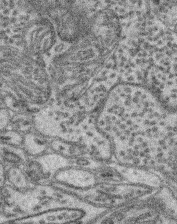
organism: Mouse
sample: Retina